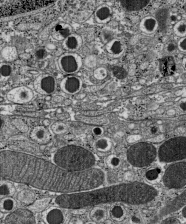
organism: C57BL Mouse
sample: Pancreatic islet